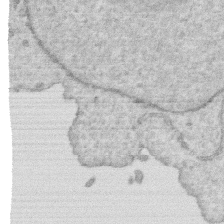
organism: Human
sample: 1205lu cells